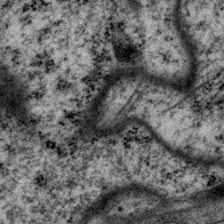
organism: P. pacificus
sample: Pharynx